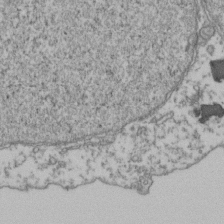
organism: Human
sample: Activated Jurkat CD4+ T cells